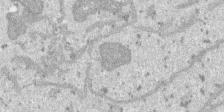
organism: Human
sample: Lung epithelial cells infected with SARS-CoV-2